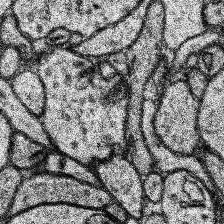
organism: Human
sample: Temporal Lobe